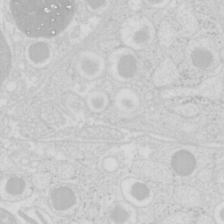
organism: Mouse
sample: Pancreas